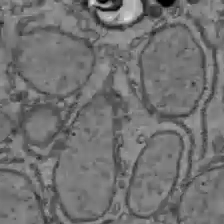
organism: C57BL Mouse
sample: Liver